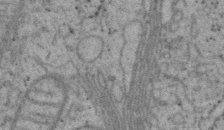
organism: Human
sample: HeLa cells